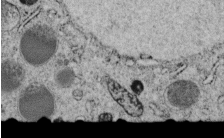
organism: C. elegans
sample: C. elegans embryo early stage